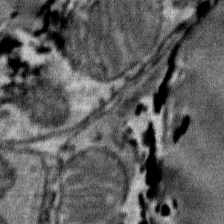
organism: Mouse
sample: Mouse Salivary gland